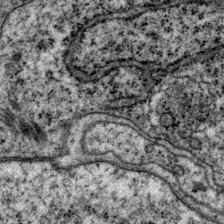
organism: P. pacificus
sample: Pharynx